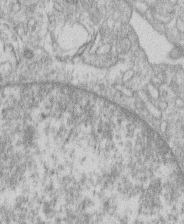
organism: Human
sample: Macrophage cells